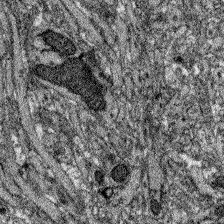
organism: Zebrafish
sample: Larval olfactory bulb